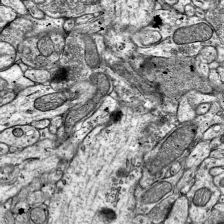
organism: Mouse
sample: Visual Cortex